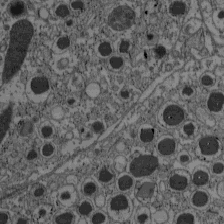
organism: C57BL Mouse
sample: Pancreatic islet